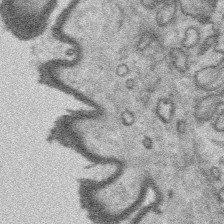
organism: Platynereis dumerilii